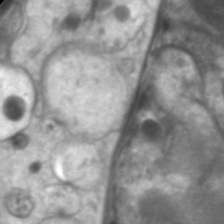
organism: C. elegans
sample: Pharynx